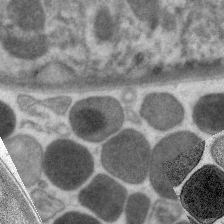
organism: C. elegans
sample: Pharynx